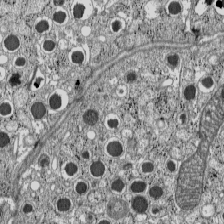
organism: C57BL Mouse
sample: Pancreatic islet